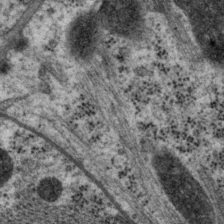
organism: P. pacificus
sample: Pharynx